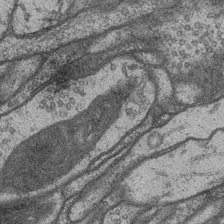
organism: Drosophila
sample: Optic medulla